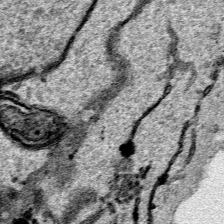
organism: Human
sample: Mitochondria in HCT116 cells